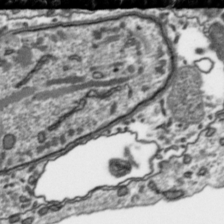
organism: Toxoplasma gondii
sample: Parasites in a vacuole inside a host cell